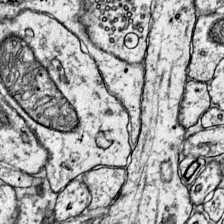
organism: Mouse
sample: Primary visual cortex